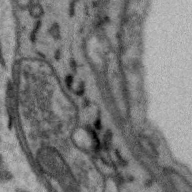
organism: Zebra finch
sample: Brain